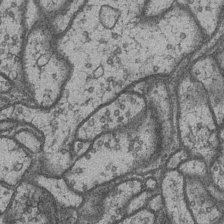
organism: Drosophila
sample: Optic medulla